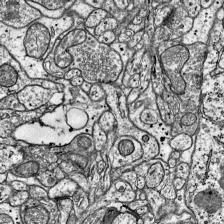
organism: Mouse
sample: Visual Cortex